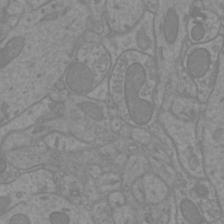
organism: Mouse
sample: Cortical neurons